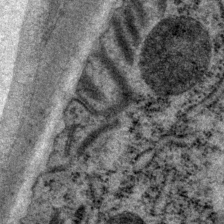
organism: P. pacificus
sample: Pharynx